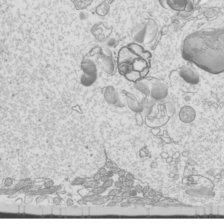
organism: Mouse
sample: Cilia; mouse epididymis